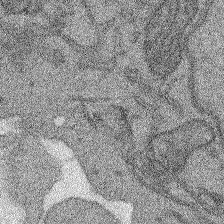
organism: Human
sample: HeLa cells